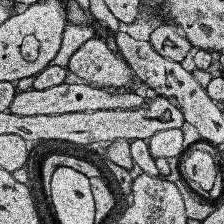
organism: Human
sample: Temporal Lobe